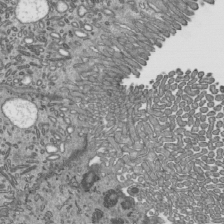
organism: Mouse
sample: Mouse epididymis efferent ductule cilia